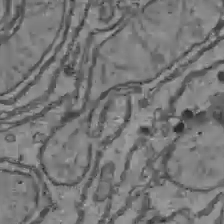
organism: C57BL Mouse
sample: Liver